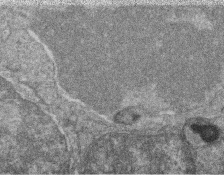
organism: Zebrafish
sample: Cilia; retinal pigment epithelium